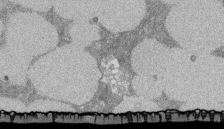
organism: Rat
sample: Salivary granule